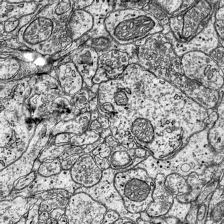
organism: Mouse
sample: Visual Cortex